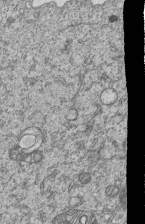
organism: Human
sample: MDA-MB-231 cells